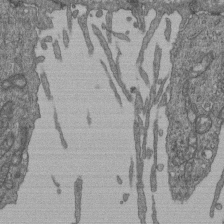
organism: Human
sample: Retinal organoid Rod and Cone cells